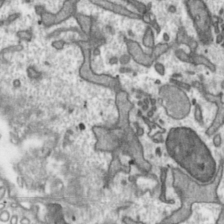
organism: Toxoplasma gondii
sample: Parasites in a vacuole inside a host cell